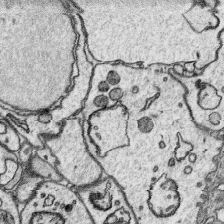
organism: Platynereis dumerilii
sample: Parapodia